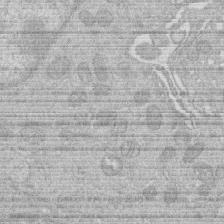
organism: Human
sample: Macrophage cells